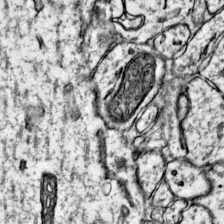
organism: Mouse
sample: Primary visual cortex